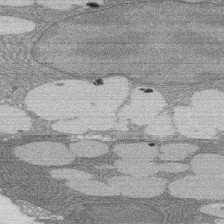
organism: Rat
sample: Salivary granule